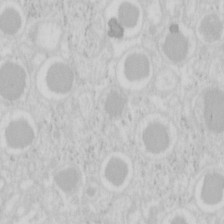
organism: Mouse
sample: Pancreas